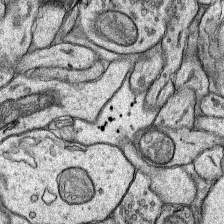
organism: Rat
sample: Hippocampus